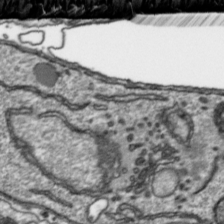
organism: Toxoplasma gondii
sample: Parasites in a vacuole inside a host cell